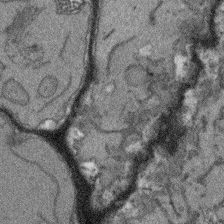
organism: Arabidopsis thaliana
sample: Root tip